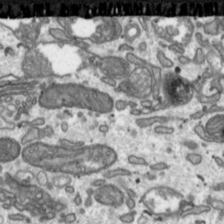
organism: Toxoplasma gondii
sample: Parasites in a vacuole inside a host cell